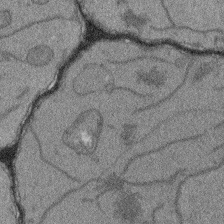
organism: Arabidopsis thaliana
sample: Root tip